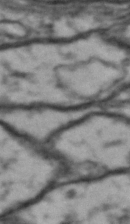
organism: Drosophila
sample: Brain